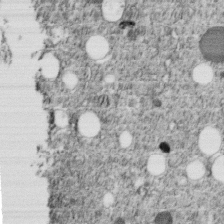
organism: C. elegans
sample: C. elegans embryo early stage